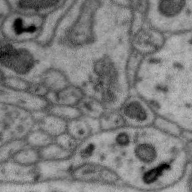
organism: Zebra finch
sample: Brain